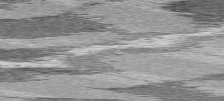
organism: C57BL Mouse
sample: Heart